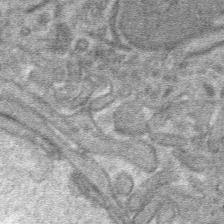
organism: Mouse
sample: Mouse hepatocytes